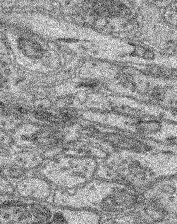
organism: Mouse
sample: Retina